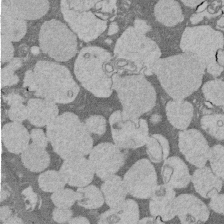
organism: Rat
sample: Salivary granule